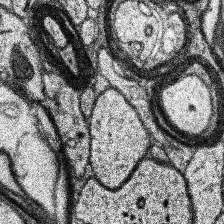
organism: Human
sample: Temporal Lobe